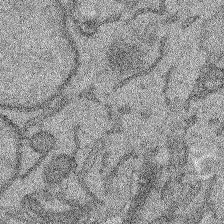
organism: Human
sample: HeLa cells